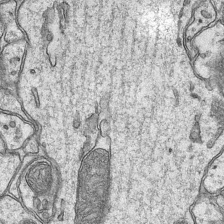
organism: Mouse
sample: CA1 Hippocampus